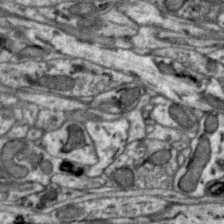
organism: Zebra finch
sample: Brain